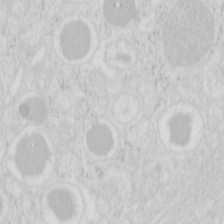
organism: Mouse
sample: Pancreas